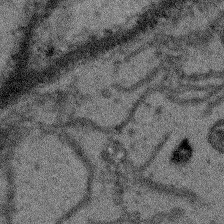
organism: Arabidopsis thaliana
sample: Root tip